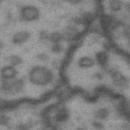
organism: Drosophila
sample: Brain